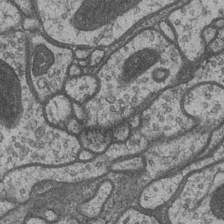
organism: Drosophila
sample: Optic medulla